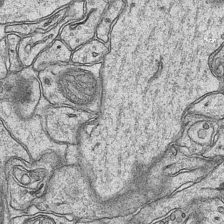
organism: Mouse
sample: CA1 Hippocampus